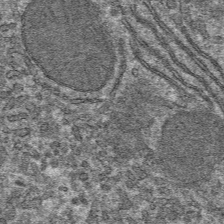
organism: Mouse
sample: Mouse hepatocytes